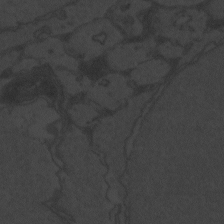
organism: Zebrafish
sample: Macrophage infected with Toxoplasma gondii